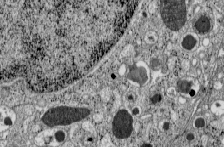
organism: C57BL Mouse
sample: Pancreatic islet